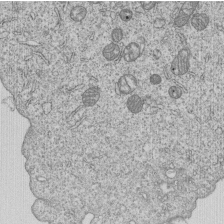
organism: Human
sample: MDA-MB-231 cells